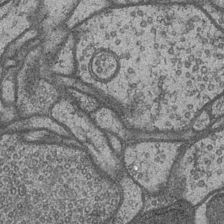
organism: Drosophila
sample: Optic medulla